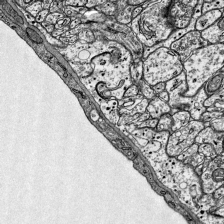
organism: Mouse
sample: Visual Cortex